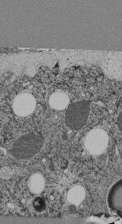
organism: C. elegans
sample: C. elegans pharynx